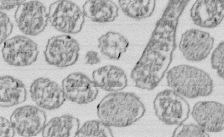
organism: E. coli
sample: Bacterial nucleoid